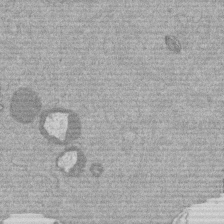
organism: Mouse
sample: Dividing mouse embryo 1 cell stage